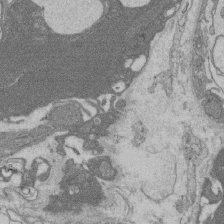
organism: Rat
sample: Salivary granule